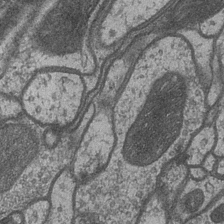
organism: Drosophila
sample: Optic medulla